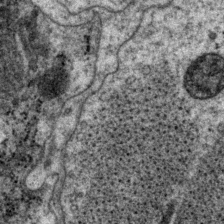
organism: P. pacificus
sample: Pharynx